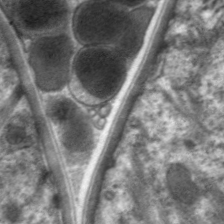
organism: C. elegans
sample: Pharynx